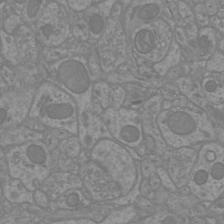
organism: Mouse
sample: Cortical neurons